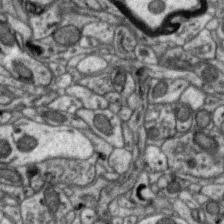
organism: Zebra finch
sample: Brain